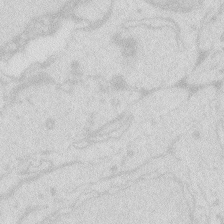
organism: Zebrafish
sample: Macrophage